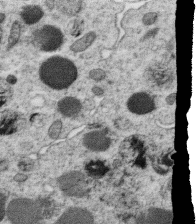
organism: C. elegans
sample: C. elegans oocyte; sperm cells